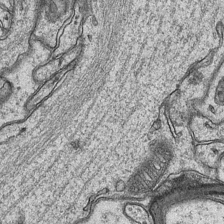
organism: Mouse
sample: CA1 Hippocampus